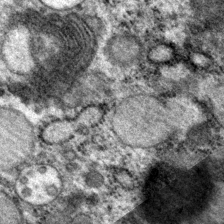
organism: P. pacificus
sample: Pharynx